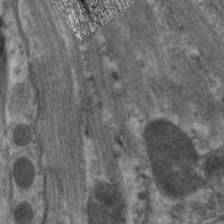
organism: C. elegans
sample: Pharynx